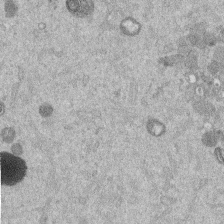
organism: Mouse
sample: Dividing mouse embryo 1 cell stage